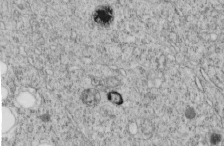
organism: C. elegans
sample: C. elegans embryo early stage